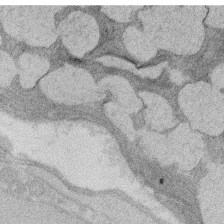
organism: Rat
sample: Salivary granule